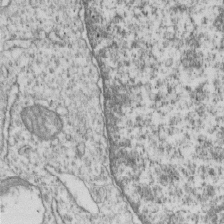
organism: Human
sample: MDA-MB-231 cells